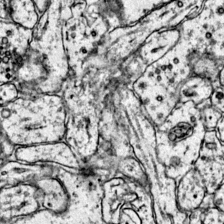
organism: Mouse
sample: Primary visual cortex